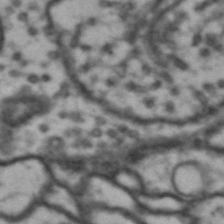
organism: Drosophila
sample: Brain